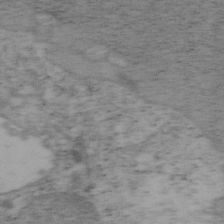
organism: Mouse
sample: OT-I killer T cells with ID8 ovarian cancer cells